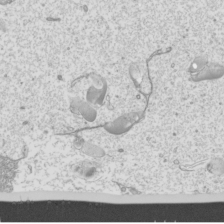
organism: Mouse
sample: Cilia; mouse epididymis